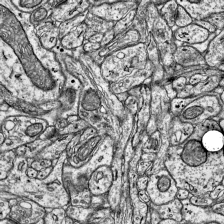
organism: Mouse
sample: Visual Cortex